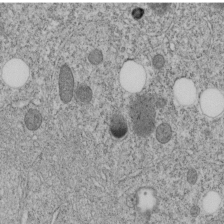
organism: C. elegans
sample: C. elegans embryo early stage